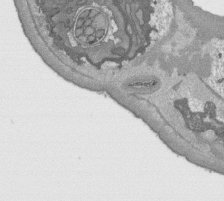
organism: C. elegans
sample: AFD neurons C. elegans